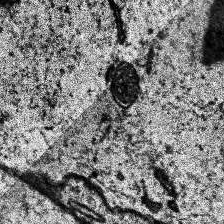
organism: Human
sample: Temporal Lobe